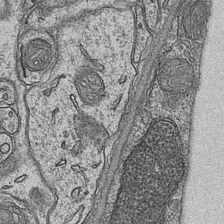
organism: Mouse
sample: CA1 Hippocampus